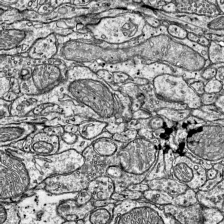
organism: Mouse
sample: Visual Cortex